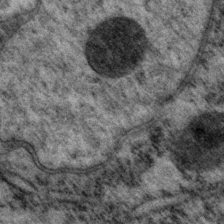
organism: P. pacificus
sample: Pharynx